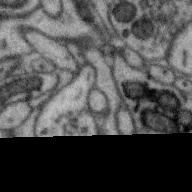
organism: Zebra finch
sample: Brain